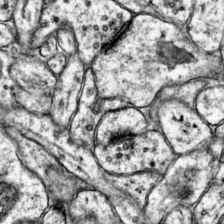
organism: Mouse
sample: Primary visual cortex